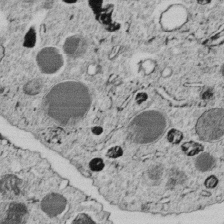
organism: C. elegans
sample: C. elegans embryo early stage